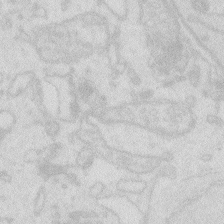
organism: Zebrafish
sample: Macrophage